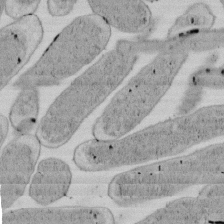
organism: E. coli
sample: Bacterial nucleoid